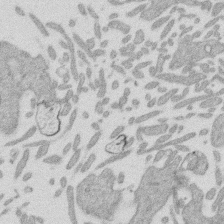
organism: Mouse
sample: Dividing mouse embryo 1 cell stage